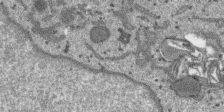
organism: Human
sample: Lung epithelial cells infected with SARS-CoV-2